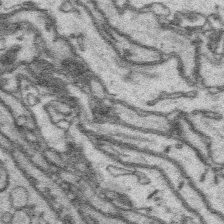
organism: Platynereis dumerilii